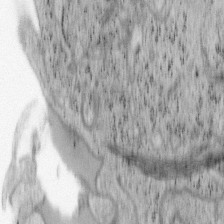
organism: Human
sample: HeLa cells